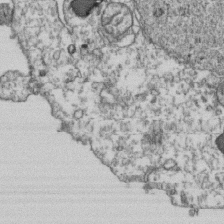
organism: Human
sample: Activated Jurkat CD4+ T cells